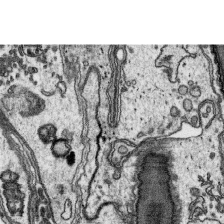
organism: Platynereis dumerilii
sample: Parapodia